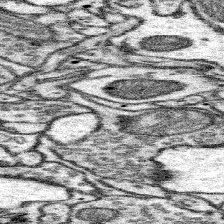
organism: Mouse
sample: Somatosensory cortex neuropil